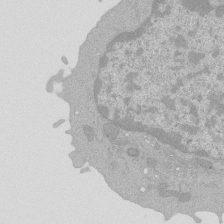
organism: Mouse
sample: Activated Pmel transgenic CD8+ T Cells